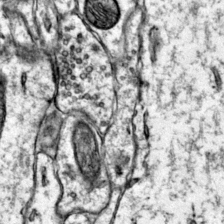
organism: Mouse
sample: Primary visual cortex